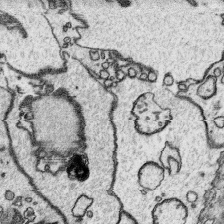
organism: Platynereis dumerilii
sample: Parapodia